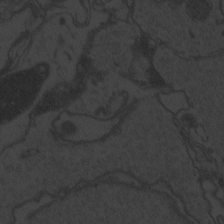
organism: Zebrafish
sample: Macrophage infected with Toxoplasma gondii